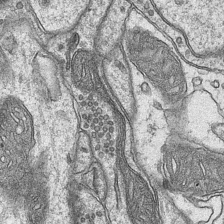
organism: Mouse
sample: CA1 Hippocampus